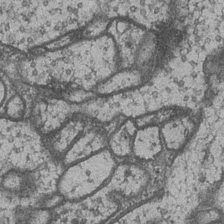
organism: Drosophila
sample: Optic medulla